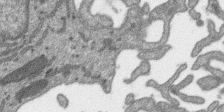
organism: Human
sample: Lung epithelial cells infected with SARS-CoV-2